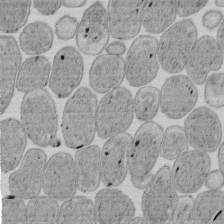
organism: E. coli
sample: Bacterial nucleoid